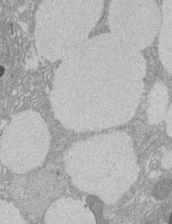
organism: Rat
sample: Salivary granule